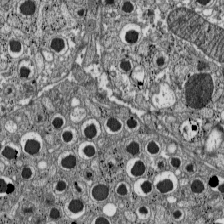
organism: C57BL Mouse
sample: Pancreatic islet